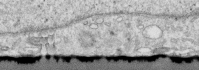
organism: Human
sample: Centriole in RPE cells